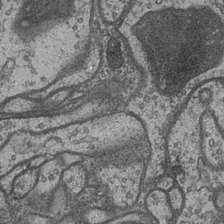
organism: Drosophila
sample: Optic medulla